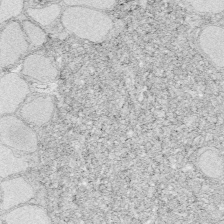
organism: Zebrafish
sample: Whole-Brain